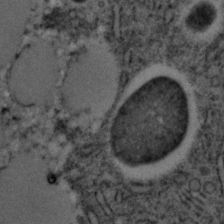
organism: C. elegans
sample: C. elegans embryo